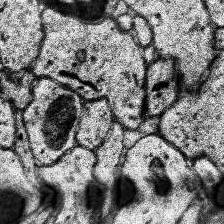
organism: Human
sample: Temporal Lobe